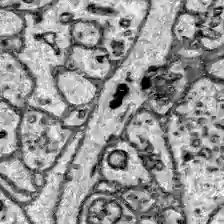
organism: Zebrafish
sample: Brain